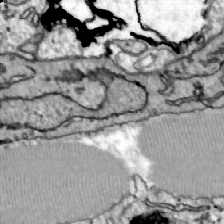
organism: Zebrafish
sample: Actinotrichia fibers